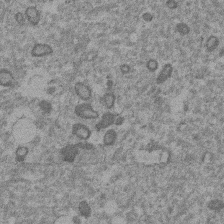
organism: Mouse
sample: Dividing mouse embryo 1 cell stage